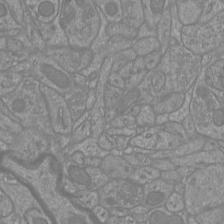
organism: Mouse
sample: Cortical neurons